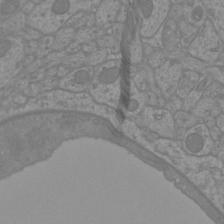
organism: Mouse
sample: Cortical neurons